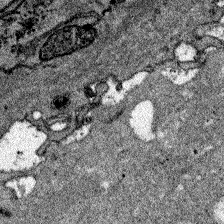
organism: Zebrafish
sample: Larval olfactory bulb